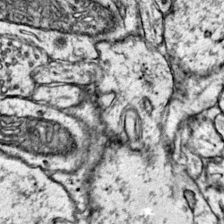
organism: Mouse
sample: Primary visual cortex